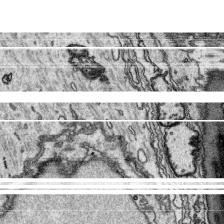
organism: Platynereis dumerilii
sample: Parapodia